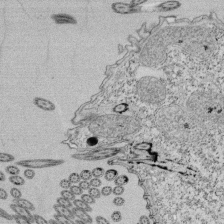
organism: Tetrahymena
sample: Cilia in tetrahymena